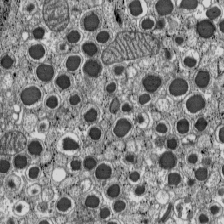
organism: C57BL Mouse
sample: Pancreatic islet